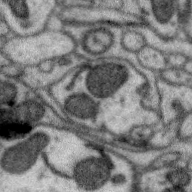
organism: Zebra finch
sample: Brain